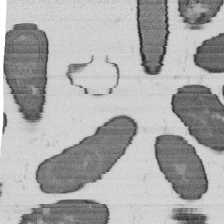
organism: B. subtilis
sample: Bacterial spore